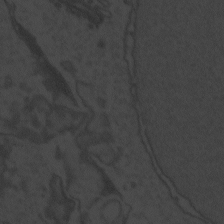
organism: Zebrafish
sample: Macrophage infected with Toxoplasma gondii